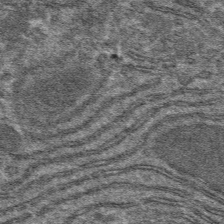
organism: Mouse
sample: Mouse hepatocytes